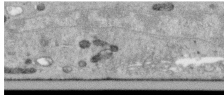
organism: Human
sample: Centriole in RPE cells